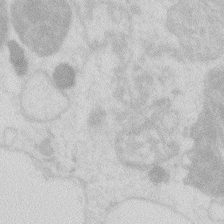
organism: Zebrafish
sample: Macrophage